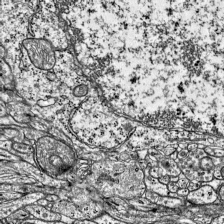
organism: Mouse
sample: Visual Cortex